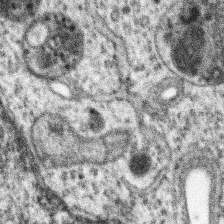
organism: Human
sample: HeLa cells